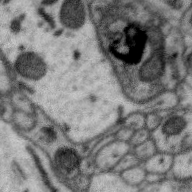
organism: Zebra finch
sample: Brain